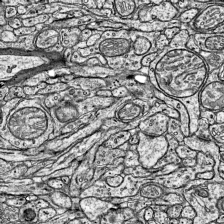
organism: Mouse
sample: Visual Cortex